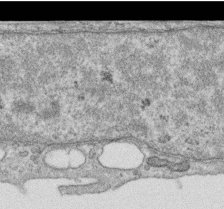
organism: Human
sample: Centriole in RPE cells